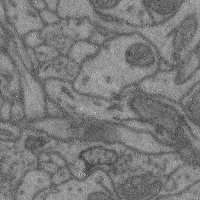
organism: Mouse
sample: Cerebral cortex